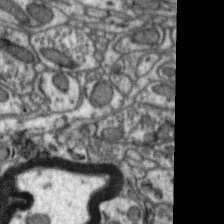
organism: Zebra finch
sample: Brain